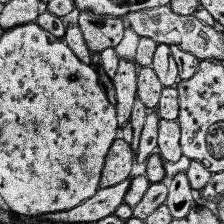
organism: Human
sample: Temporal Lobe